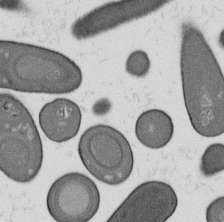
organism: B. subtilis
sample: Bacterial spore